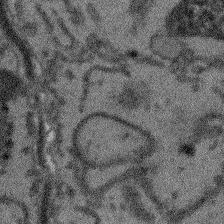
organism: Arabidopsis thaliana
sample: Root tip